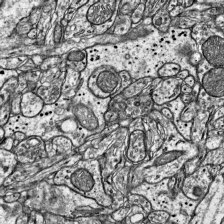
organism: Mouse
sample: Visual Cortex